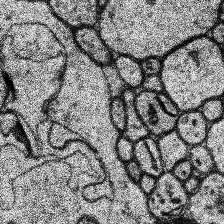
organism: Human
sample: Temporal Lobe